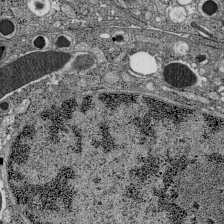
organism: C57BL Mouse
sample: Pancreatic islet